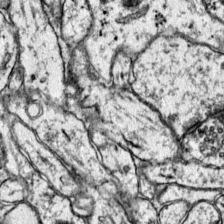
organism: Mouse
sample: Primary visual cortex